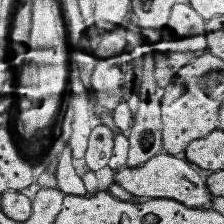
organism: Human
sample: Temporal Lobe